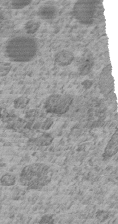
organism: C. elegans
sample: C. elegans embryo early stage